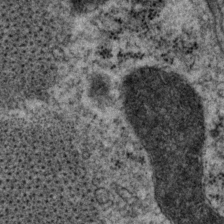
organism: P. pacificus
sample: Pharynx